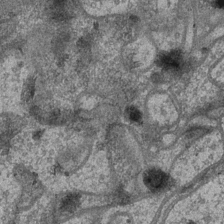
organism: Drosophila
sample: Optic medulla